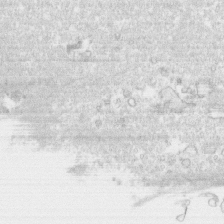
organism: Human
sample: CRL-1474